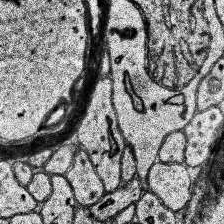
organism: Human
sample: Temporal Lobe